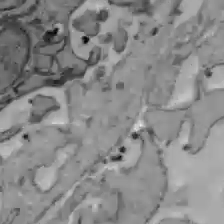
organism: C57BL Mouse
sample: Liver